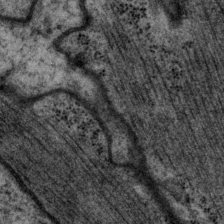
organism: P. pacificus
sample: Pharynx